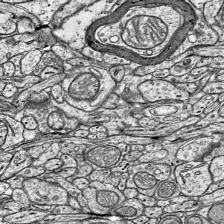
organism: Mouse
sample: Visual Cortex